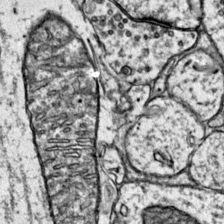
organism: Mouse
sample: Primary visual cortex